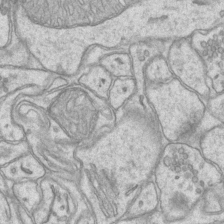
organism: Mouse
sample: CA1 Hippocampus